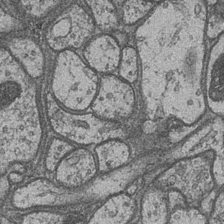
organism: Drosophila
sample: Optic medulla